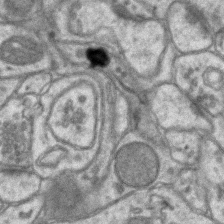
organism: Mouse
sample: CA1 Hippocampus